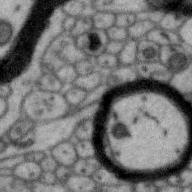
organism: Zebra finch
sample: Brain